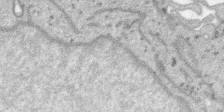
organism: Human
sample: Lung epithelial cells infected with SARS-CoV-2